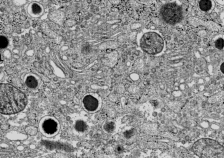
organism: C57BL Mouse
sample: Pancreatic islet